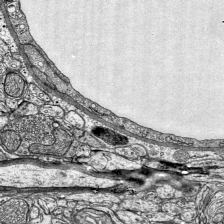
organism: Mouse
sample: Visual Cortex